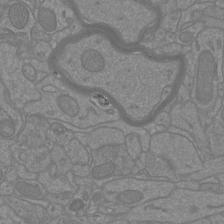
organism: Mouse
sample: Cortical neurons